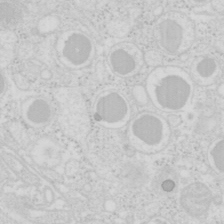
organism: Mouse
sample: Pancreas